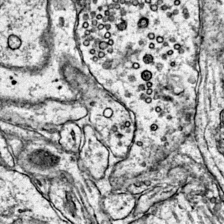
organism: Mouse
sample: Primary visual cortex